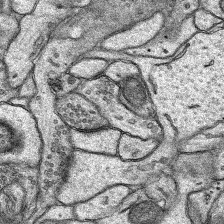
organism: Rat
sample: Hippocampus